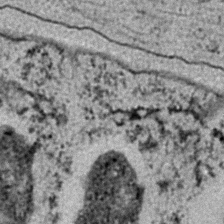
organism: C. elegans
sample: C. elegans embryo